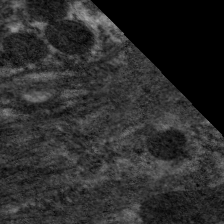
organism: C. elegans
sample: Pharynx